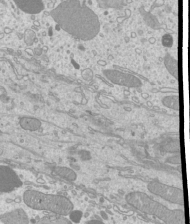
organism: Mouse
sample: Cilia; mouse epididymis